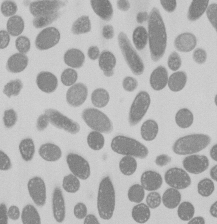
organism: E. coli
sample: Bacterial nucleoid